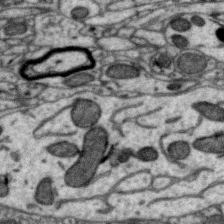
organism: Zebra finch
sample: Brain